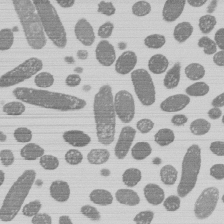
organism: E. coli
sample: Bacterial nucleoid